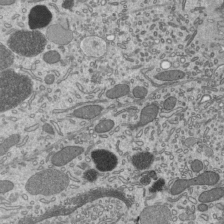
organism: Mouse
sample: Mouse epididymis efferent ductule cilia